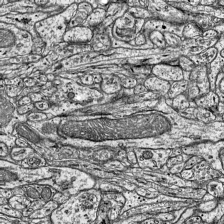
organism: Mouse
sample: Visual Cortex